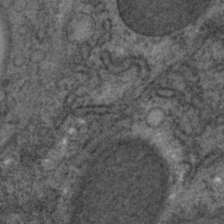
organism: C. elegans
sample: C. elegans embryo